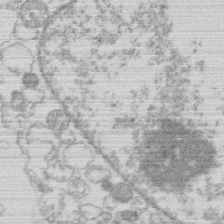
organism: Human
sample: Macrophage cells